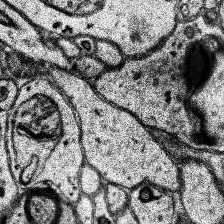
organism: Human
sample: Temporal Lobe